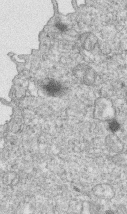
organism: Human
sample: HeLa cell HIV synapse